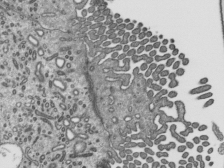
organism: Mouse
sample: Mouse epididymis efferent ductule cilia